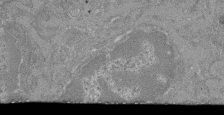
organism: Mouse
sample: Glomerulus